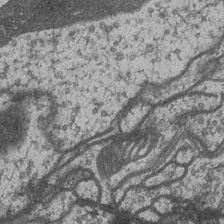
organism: Drosophila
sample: Optic medulla